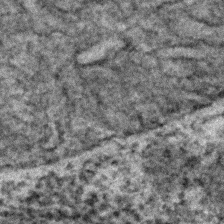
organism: C. elegans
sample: C. elegans embryo